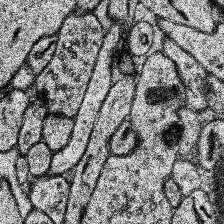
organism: Human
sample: Temporal Lobe